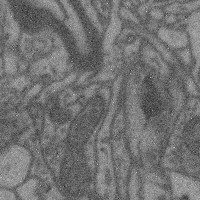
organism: Mouse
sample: Cerebral cortex